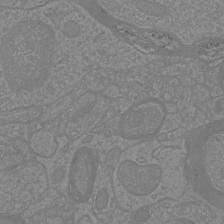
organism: Mouse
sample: Cortical neurons